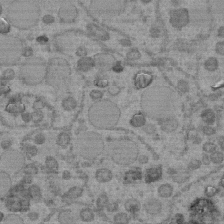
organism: C. elegans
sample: C. elegans embryo early stage